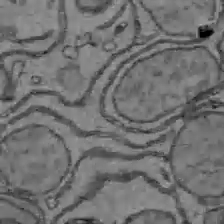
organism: C57BL Mouse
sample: Liver